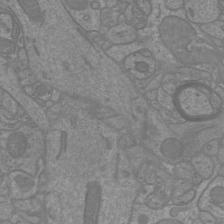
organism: Mouse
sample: Cortical neurons